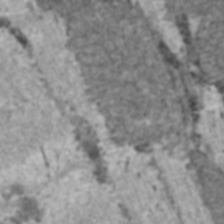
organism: C57BL Mouse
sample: Heart